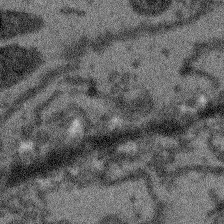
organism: Arabidopsis thaliana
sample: Root tip